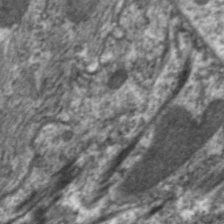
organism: C. elegans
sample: Pharynx